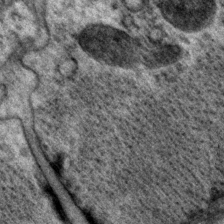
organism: P. pacificus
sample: Pharynx